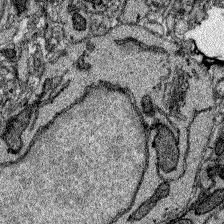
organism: Zebrafish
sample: Larval olfactory bulb